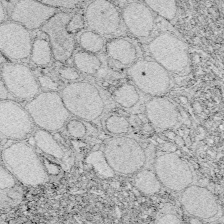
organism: Zebrafish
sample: Whole-Brain